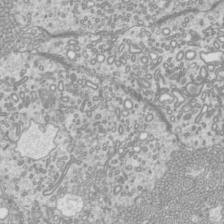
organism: Mouse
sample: Cilia; mouse epididymis